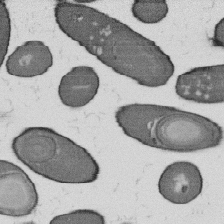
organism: B. subtilis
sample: Bacterial spore